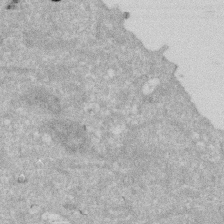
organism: Human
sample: HIV infected U937 cells